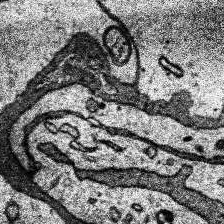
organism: Human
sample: Temporal Lobe